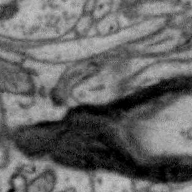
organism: Zebra finch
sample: Brain